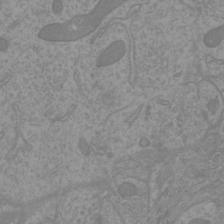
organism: Mouse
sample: Cortical neurons